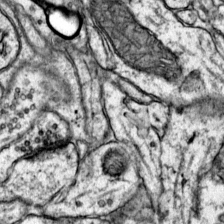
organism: Mouse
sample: Primary visual cortex